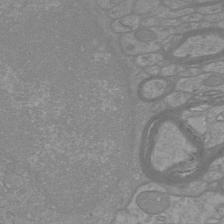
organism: Mouse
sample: Cortical neurons